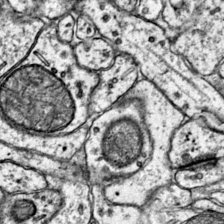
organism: Mouse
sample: Primary visual cortex